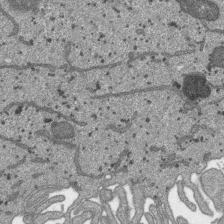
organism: Human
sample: Lung epithelial cells infected with SARS-CoV-2